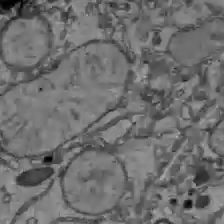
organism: C57BL Mouse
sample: Liver